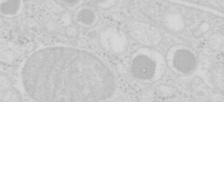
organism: Mouse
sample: Pancreas